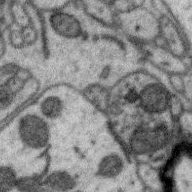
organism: Zebra finch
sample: Brain